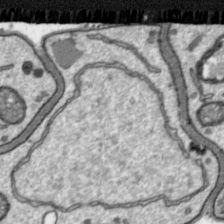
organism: Toxoplasma gondii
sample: Parasites in a vacuole inside a host cell